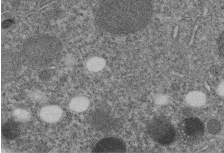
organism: C. elegans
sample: C. elegans embryo early stage